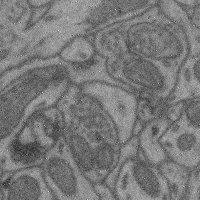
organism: Mouse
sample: Cerebral cortex